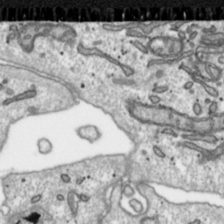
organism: Toxoplasma gondii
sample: Parasites in a vacuole inside a host cell